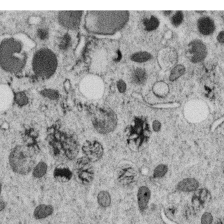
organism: C. elegans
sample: C. elegans oocyte; sperm cells